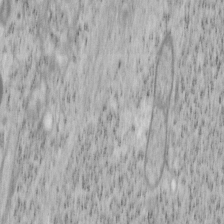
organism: Human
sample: HeLa cells